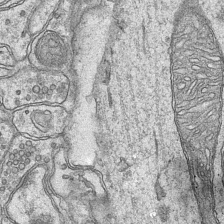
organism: Mouse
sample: CA1 Hippocampus